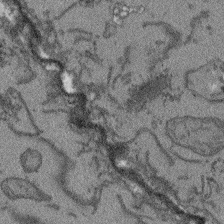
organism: Arabidopsis thaliana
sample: Root tip